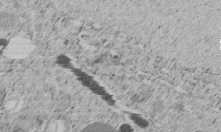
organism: C. elegans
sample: C. elegans embryo early stage